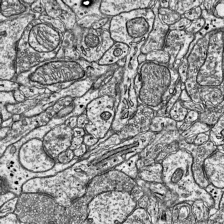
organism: Mouse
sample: Visual Cortex